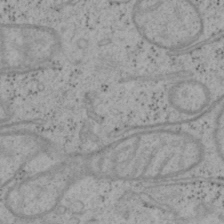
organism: Human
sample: HeLa cells